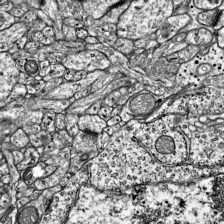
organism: Mouse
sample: Visual Cortex